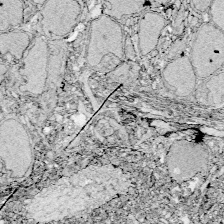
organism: Zebrafish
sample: Whole-Brain